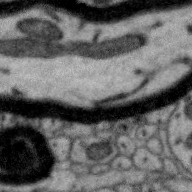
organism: Zebra finch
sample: Brain